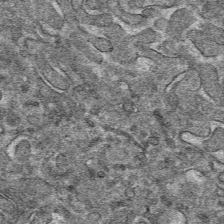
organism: Mouse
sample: Mouse hepatocytes